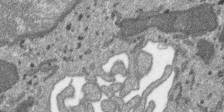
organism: Human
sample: Lung epithelial cells infected with SARS-CoV-2